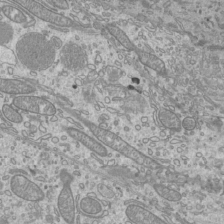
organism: Mouse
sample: Cilia; mouse epididymis